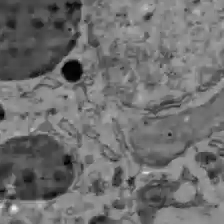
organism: C57BL Mouse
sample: Liver